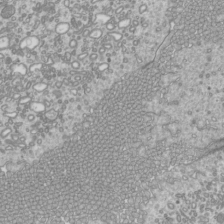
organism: Mouse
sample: Cilia; mouse epididymis